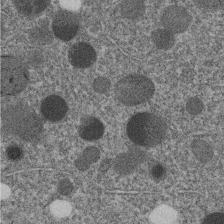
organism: C. elegans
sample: C. elegans embryo early stage